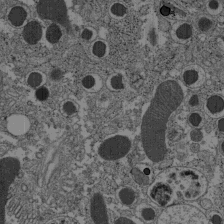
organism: C57BL Mouse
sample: Pancreatic islet